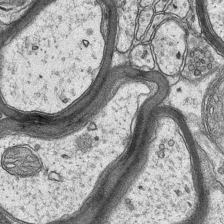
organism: Mouse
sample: CA1 Hippocampus